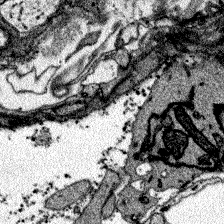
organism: Zebrafish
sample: Larval olfactory bulb